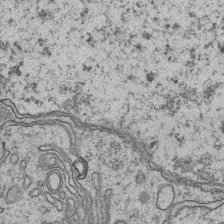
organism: Mouse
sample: CA1 Hippocampus